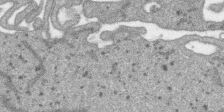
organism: Human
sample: Lung epithelial cells infected with SARS-CoV-2